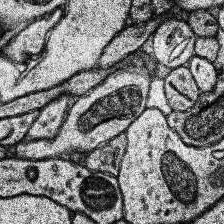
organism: Human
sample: Temporal Lobe